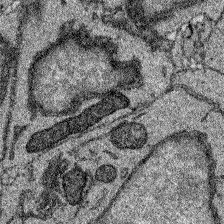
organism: Zebrafish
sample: Larval olfactory bulb